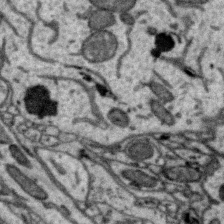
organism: Zebra finch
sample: Brain